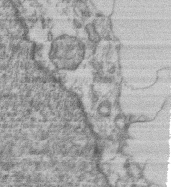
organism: Mouse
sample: T cell stromal cell synapse